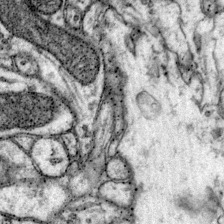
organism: Mouse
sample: Primary visual cortex